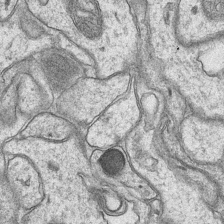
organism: Mouse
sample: CA1 Hippocampus